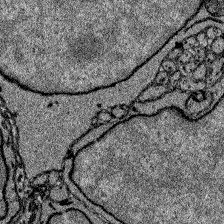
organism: Zebrafish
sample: Larval olfactory bulb